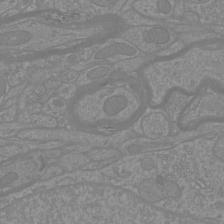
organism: Mouse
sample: Cortical neurons